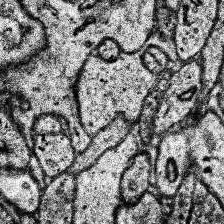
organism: Human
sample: Temporal Lobe